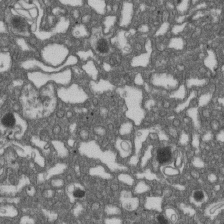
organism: Drosophila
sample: Nephrocyte